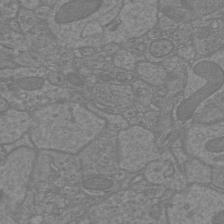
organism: Mouse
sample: Cortical neurons